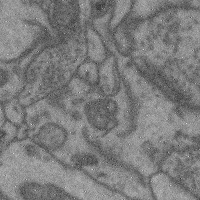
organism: Mouse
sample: Cerebral cortex